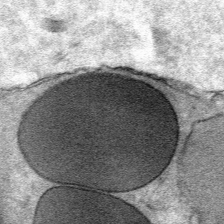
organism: Mouse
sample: Mouse Salivary gland